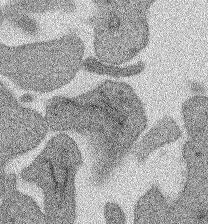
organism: Human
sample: HeLa cells